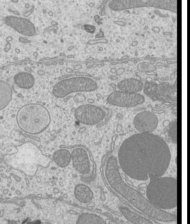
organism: Mouse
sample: Cilia; mouse epididymis